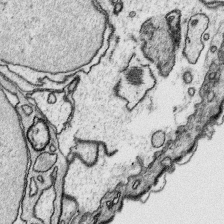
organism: Platynereis dumerilii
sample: Parapodia